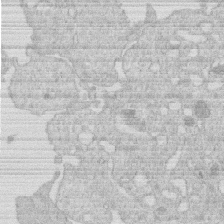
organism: Human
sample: Macrophage cells